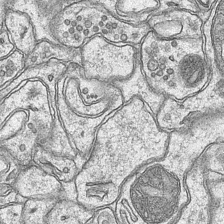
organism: Mouse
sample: CA1 Hippocampus